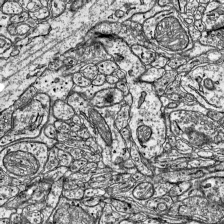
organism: Mouse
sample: Visual Cortex